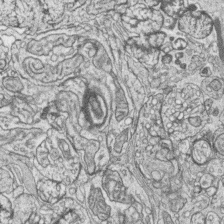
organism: Zebrafish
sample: synaptic ribbons in rod cells and cone cells